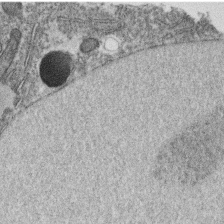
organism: C. elegans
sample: C. elegans oocyte; sperm cells